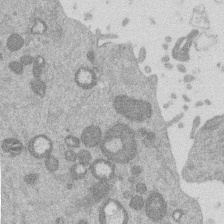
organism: Mouse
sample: Dividing mouse embryo 1 cell stage